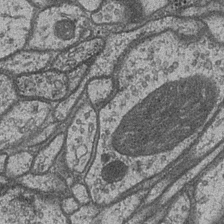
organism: Drosophila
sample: Optic medulla